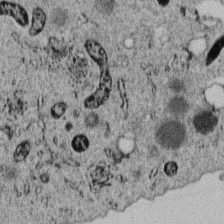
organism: C. elegans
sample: C. elegans embryo early stage